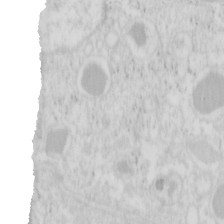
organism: Mouse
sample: Pancreas